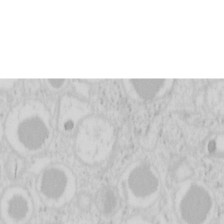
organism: Mouse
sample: Pancreas